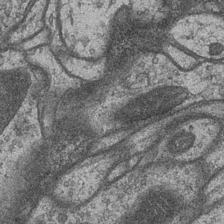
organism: Drosophila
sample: Optic medulla